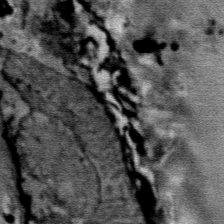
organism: Mouse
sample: Mouse Salivary gland